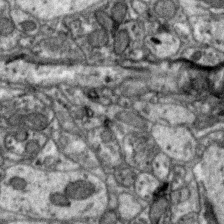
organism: Zebra finch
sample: Brain